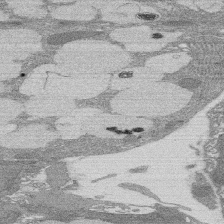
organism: Rat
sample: Salivary granule